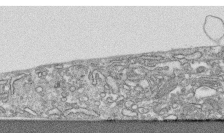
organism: Human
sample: CRL-1474